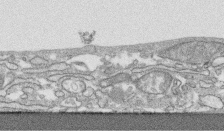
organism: Human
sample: CRL-1474